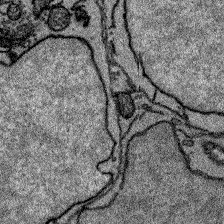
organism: Zebrafish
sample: Larval olfactory bulb